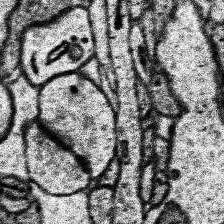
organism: Human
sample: Temporal Lobe